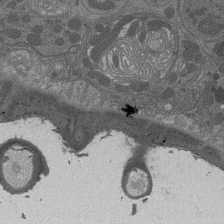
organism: Drosophila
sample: Antenna